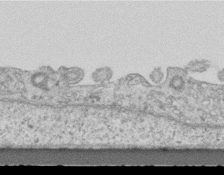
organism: Mouse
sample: Centriole in ependymal cells